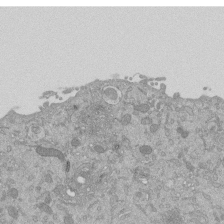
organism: Mouse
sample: ED-1 cell nuclei; centrioles